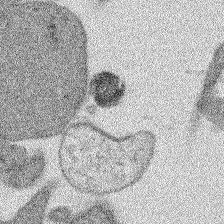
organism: Human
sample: HeLa cells